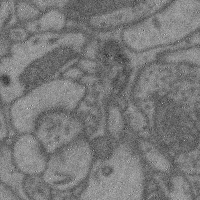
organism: Mouse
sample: Cerebral cortex